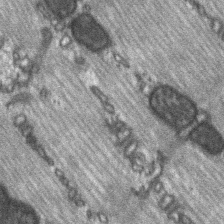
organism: C57BL Mouse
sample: Soleus